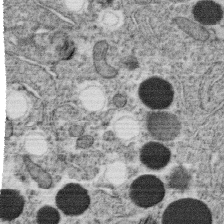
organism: C. elegans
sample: C. elegans oocyte; sperm cells